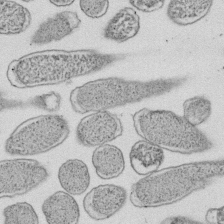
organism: E. coli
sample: Bacterial nucleoid